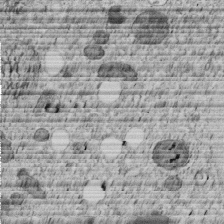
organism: C. elegans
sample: C. elegans embryo early stage